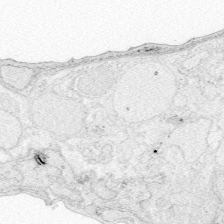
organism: Zebrafish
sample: Whole-Brain